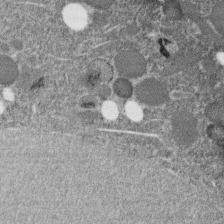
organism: C. elegans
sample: C. elegans embryo early stage